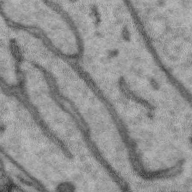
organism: Zebra finch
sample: Brain